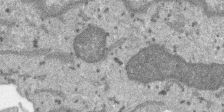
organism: Human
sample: Lung epithelial cells infected with SARS-CoV-2